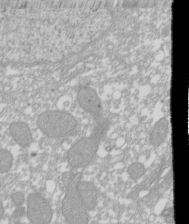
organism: Xenopus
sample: Cilia; centrioles in frog embryo cells